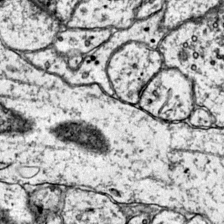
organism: Mouse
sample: Primary visual cortex